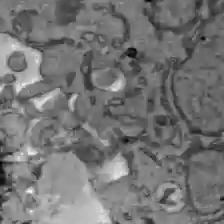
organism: C57BL Mouse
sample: Liver